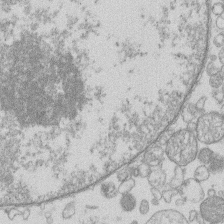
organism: Human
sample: Macrophage cells